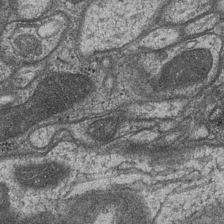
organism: Drosophila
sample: Optic medulla